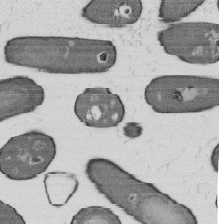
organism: B. subtilis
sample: Bacterial spore